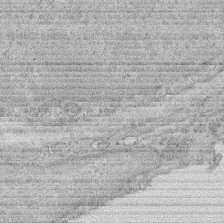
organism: Rat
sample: Salivary granule